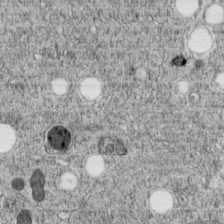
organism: C. elegans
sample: C. elegans embryo early stage